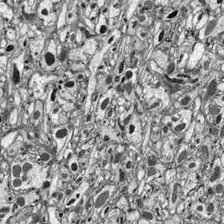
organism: Drosophila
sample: Optic lobe